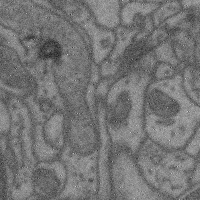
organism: Mouse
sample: Cerebral cortex